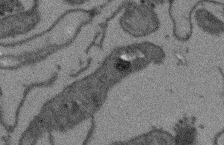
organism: Arabidopsis thaliana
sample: Root tip